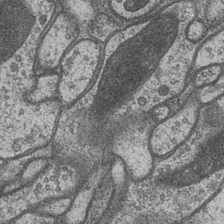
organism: Drosophila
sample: Optic medulla